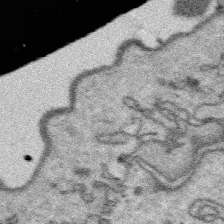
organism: Platynereis dumerilii